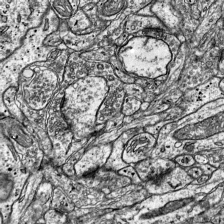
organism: Mouse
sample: Visual Cortex